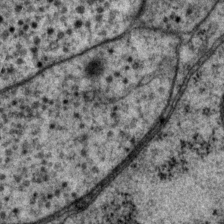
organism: P. pacificus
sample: Pharynx